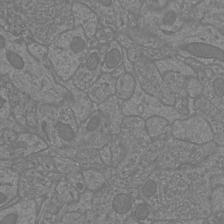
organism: Mouse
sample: Cortical neurons